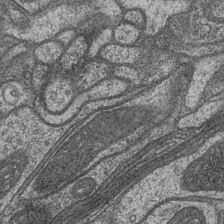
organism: Drosophila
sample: Optic medulla